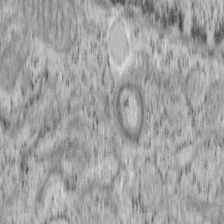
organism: Human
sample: HeLa cells